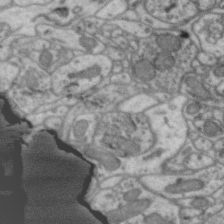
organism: Zebra finch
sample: Brain